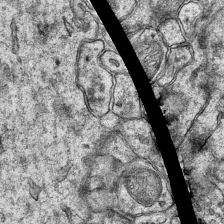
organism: Mouse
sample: CA1 Hippocampus